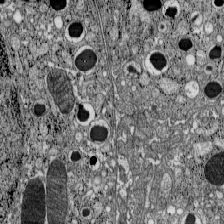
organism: C57BL Mouse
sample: Pancreatic islet